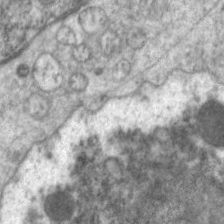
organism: C. elegans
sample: Pharynx